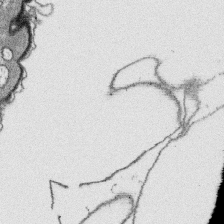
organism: Platynereis dumerilii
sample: Parapodia